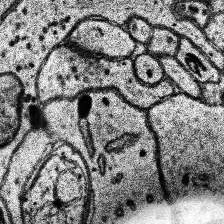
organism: Human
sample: Temporal Lobe